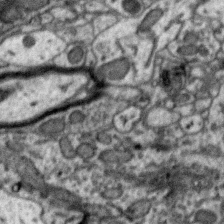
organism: Zebra finch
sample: Brain